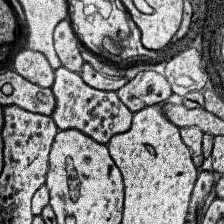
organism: Human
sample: Temporal Lobe